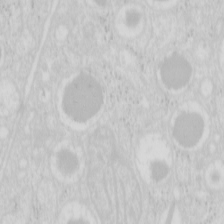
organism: Mouse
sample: Pancreas